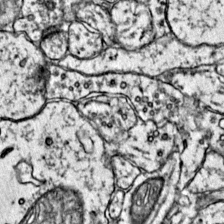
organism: Mouse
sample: Primary visual cortex